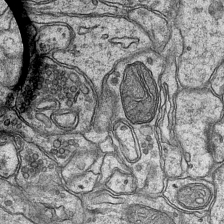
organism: Mouse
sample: CA1 Hippocampus